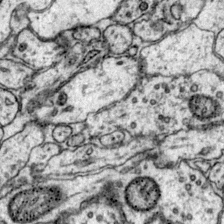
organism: Mouse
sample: Primary visual cortex